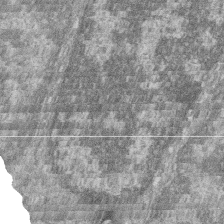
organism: Zebrafish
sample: Cilia; retinal pigment epithelium